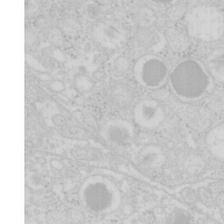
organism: Mouse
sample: Pancreas